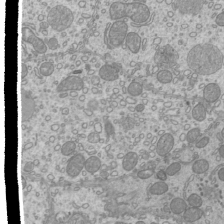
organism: Mouse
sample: Cilia; mouse epididymis